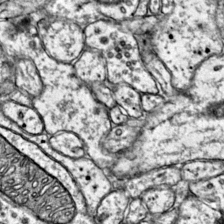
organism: Mouse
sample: Primary visual cortex